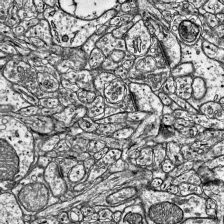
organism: Mouse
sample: Visual Cortex